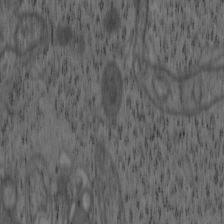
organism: Human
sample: HeLa cells